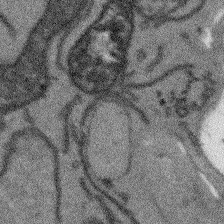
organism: Arabidopsis thaliana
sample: Root tip